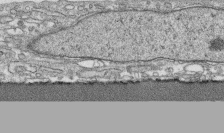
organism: Human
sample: CRL-1474